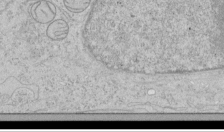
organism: Human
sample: Mitochondria in HCT116 cells